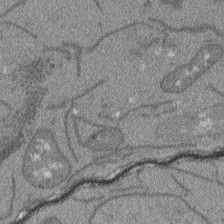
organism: Arabidopsis thaliana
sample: Root tip